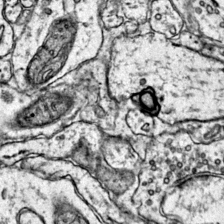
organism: Mouse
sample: Primary visual cortex